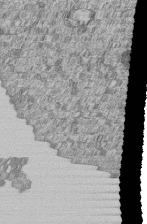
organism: Human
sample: MDA-MB-231 cells